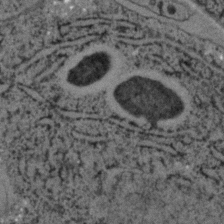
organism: C. elegans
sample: C. elegans embryo